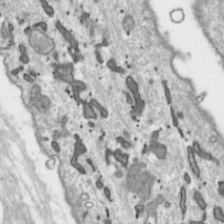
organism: Toxoplasma gondii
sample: Parasites in a vacuole inside a host cell